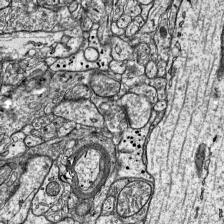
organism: Mouse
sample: Visual Cortex